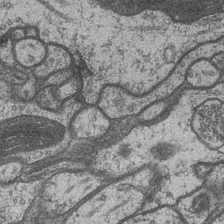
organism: Drosophila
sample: Optic medulla